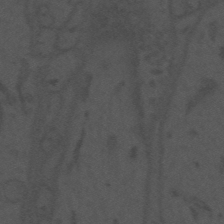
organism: Mouse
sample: Suprachiasmatic nucleus